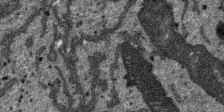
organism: Human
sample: Lung epithelial cells infected with SARS-CoV-2